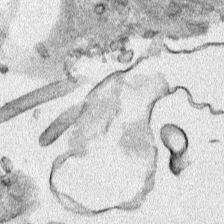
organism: Human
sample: Mitochondria in HCT116 cells